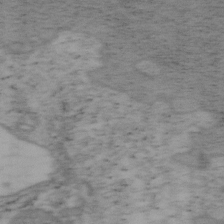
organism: Mouse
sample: OT-I killer T cells with ID8 ovarian cancer cells